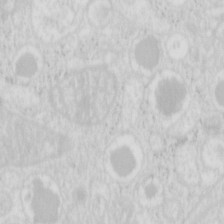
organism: Mouse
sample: Pancreas